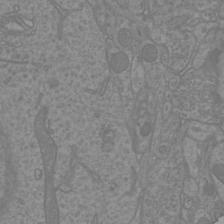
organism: Mouse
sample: Cortical neurons